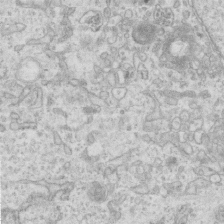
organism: Mouse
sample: Centriole in ependymal cells